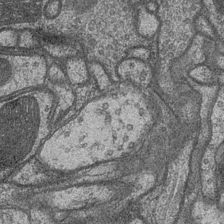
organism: Drosophila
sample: Optic medulla